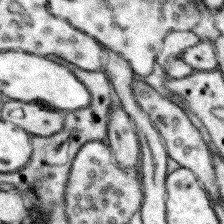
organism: Mouse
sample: Somatosensory cortex neuropil